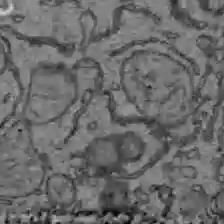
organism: C57BL Mouse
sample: Liver